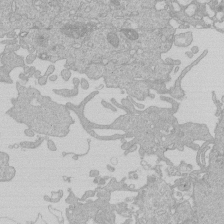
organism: Human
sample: Macrophage cells